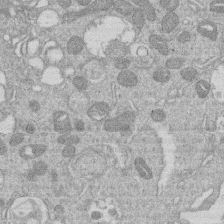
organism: Human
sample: Macrophage cells